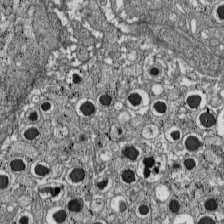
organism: C57BL Mouse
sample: Pancreatic islet